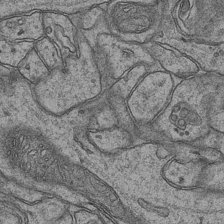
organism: Mouse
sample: CA1 Hippocampus